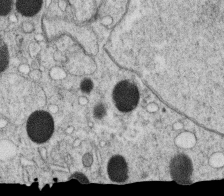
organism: C. elegans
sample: C. elegans oocyte; sperm cells